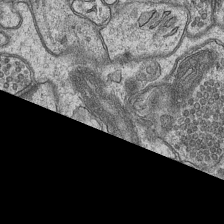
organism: Mouse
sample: CA1 Hippocampus